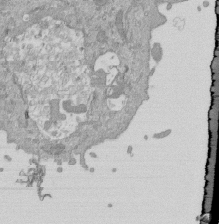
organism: Mouse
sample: ED-1 cell nuclei; centrioles